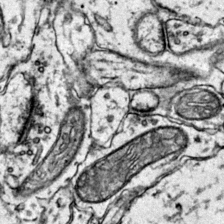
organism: Mouse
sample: Primary visual cortex